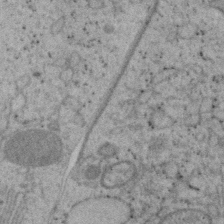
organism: Human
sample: HeLa cells